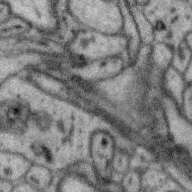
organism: Zebra finch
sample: Brain